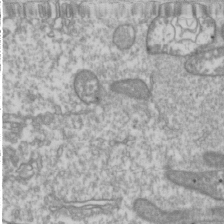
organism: Drosophila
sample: Cell division; meiosis; drosophila spermatocytes